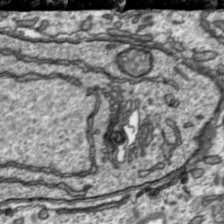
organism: Toxoplasma gondii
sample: Parasites in a vacuole inside a host cell